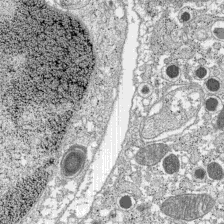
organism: C57BL Mouse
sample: Pancreatic islet